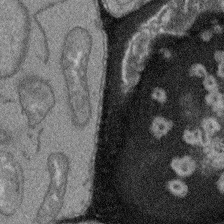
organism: Arabidopsis thaliana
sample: Root tip